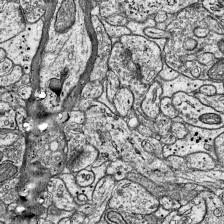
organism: Mouse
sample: Visual Cortex